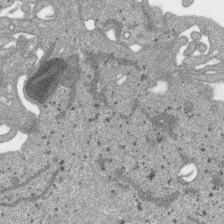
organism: Human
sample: Lung epithelial cells infected with SARS-CoV-2